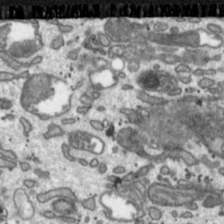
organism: Toxoplasma gondii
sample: Parasites in a vacuole inside a host cell